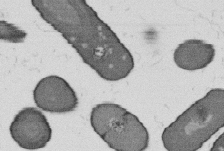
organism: B. subtilis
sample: Bacterial spore